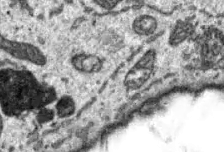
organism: Human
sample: HeLa cells